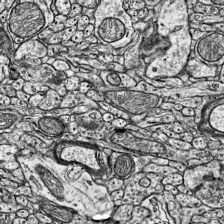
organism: Mouse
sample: Visual Cortex